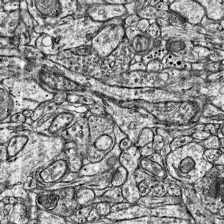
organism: Mouse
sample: Visual Cortex